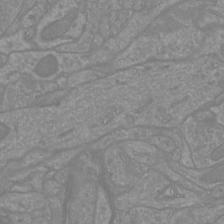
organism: Mouse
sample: Cortical neurons